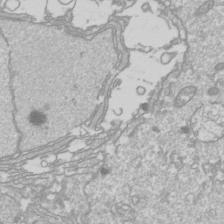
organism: Drosophila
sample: Cell division; meiosis; drosophila spermatocytes